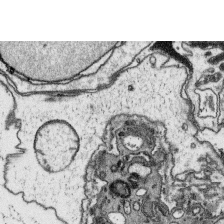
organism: Platynereis dumerilii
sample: Parapodia